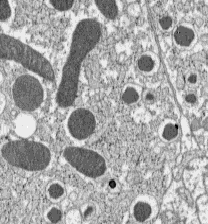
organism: C57BL Mouse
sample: Pancreatic islet